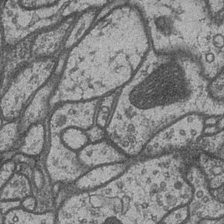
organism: Drosophila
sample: Optic medulla